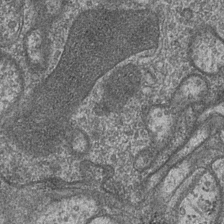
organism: Drosophila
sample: Optic medulla